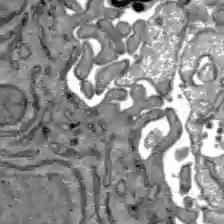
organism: C57BL Mouse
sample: Liver